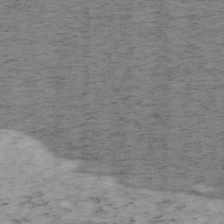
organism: Mouse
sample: OT-I killer T cells with ID8 ovarian cancer cells